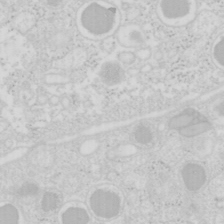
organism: Mouse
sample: Pancreas